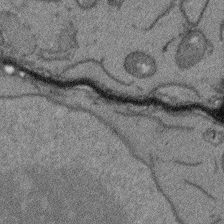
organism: Arabidopsis thaliana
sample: Root tip